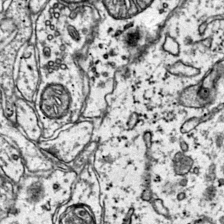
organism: Mouse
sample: Primary visual cortex